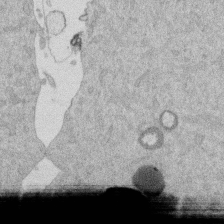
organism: Mouse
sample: Dividing mouse embryo 1 cell stage